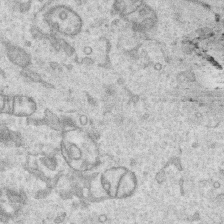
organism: Human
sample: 1205lu cells